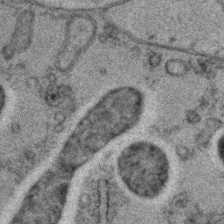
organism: C. elegans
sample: C. elegans embryo